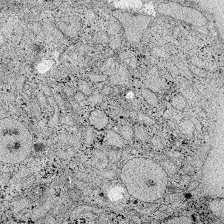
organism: Zebrafish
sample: Whole-Brain